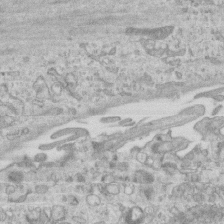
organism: Mouse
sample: Centriole in ependymal cells